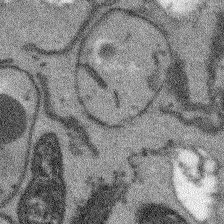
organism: Arabidopsis thaliana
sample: Root tip